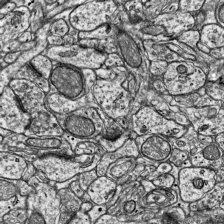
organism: Mouse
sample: Visual Cortex